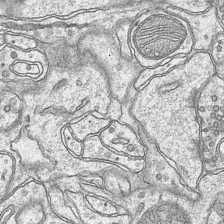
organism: Mouse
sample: CA1 Hippocampus